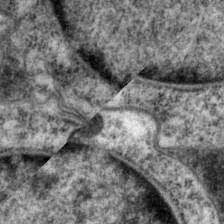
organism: P. pacificus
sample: Pharynx